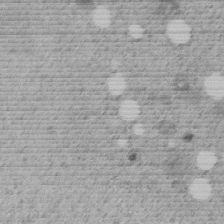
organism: C. elegans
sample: C. elegans embryo early stage